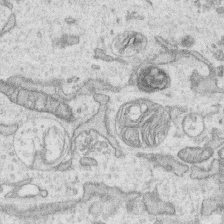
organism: Human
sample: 1205lu cells